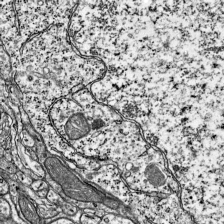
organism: Mouse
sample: Visual Cortex